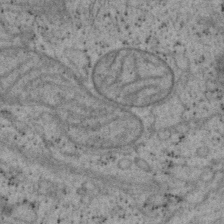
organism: Human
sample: HeLa cells